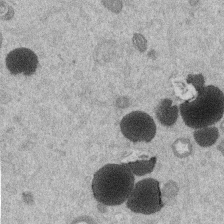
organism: Mouse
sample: Dividing mouse embryo 1 cell stage